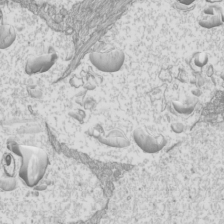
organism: Mouse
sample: Cilia; mouse epididymis